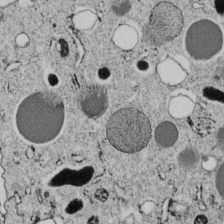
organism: C. elegans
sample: C. elegans embryo early stage